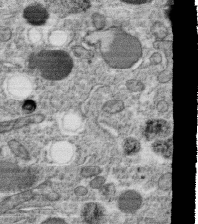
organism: C. elegans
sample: C. elegans oocyte; sperm cells